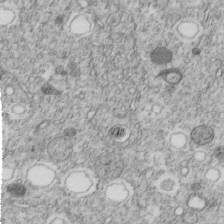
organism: C. elegans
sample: C. elegans embryo early stage